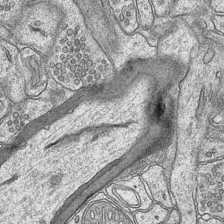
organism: Mouse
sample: CA1 Hippocampus